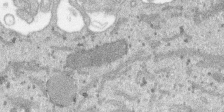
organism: Human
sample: Lung epithelial cells infected with SARS-CoV-2